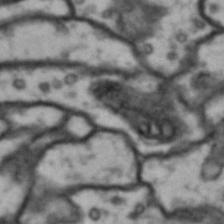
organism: Drosophila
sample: Brain